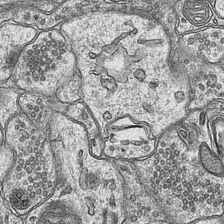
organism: Mouse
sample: CA1 Hippocampus